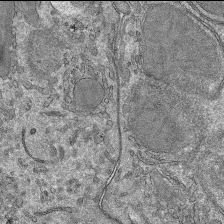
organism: Mouse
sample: Mouse hepatocytes